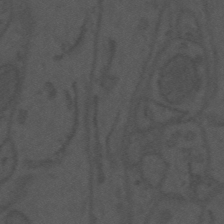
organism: Mouse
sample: Suprachiasmatic nucleus